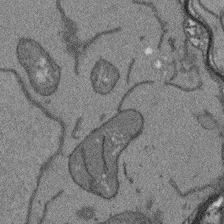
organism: Arabidopsis thaliana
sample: Root tip